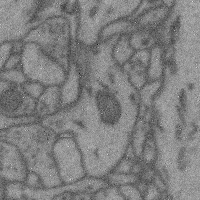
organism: Mouse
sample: Cerebral cortex